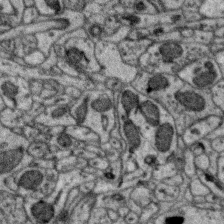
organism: Zebra finch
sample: Brain